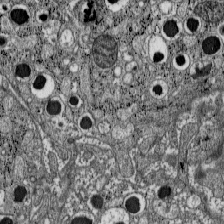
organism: C57BL Mouse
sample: Pancreatic islet